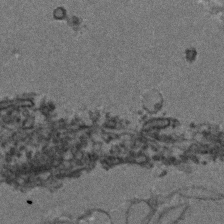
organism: Zebrafish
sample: Zebrafish embryo